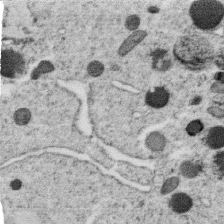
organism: C. elegans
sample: C. elegans oocyte; sperm cells